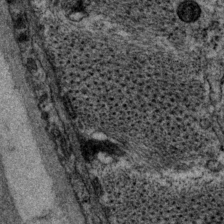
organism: P. pacificus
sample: Pharynx